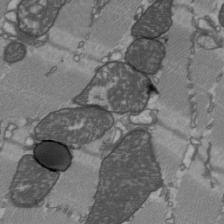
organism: C57BL Mouse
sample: Heart